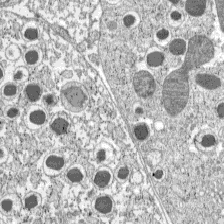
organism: C57BL Mouse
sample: Pancreatic islet